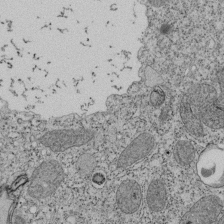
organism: Tetrahymena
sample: Cilia in tetrahymena